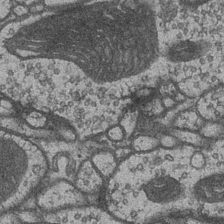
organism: Drosophila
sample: Optic medulla